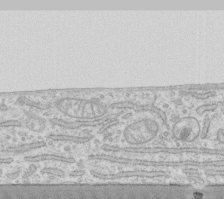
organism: Human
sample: Fibroblast cells